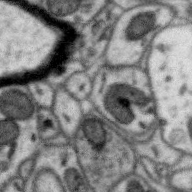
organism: Zebra finch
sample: Brain